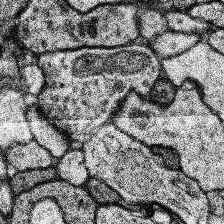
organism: Human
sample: Temporal Lobe